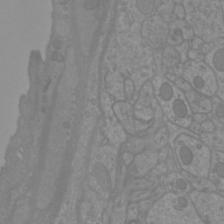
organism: Mouse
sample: Cortical neurons